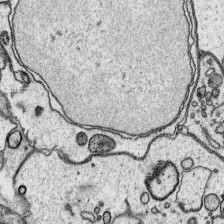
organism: Platynereis dumerilii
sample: Parapodia